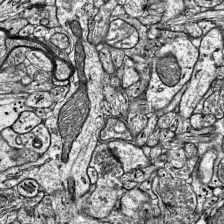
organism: Mouse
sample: Visual Cortex